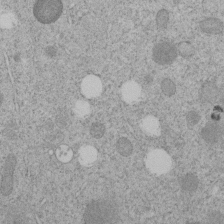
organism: C. elegans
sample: C. elegans embryo early stage